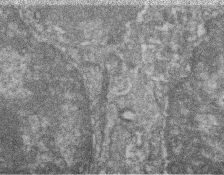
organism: Zebrafish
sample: Cilia; retinal pigment epithelium